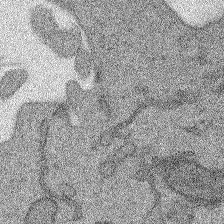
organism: Human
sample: HeLa cells